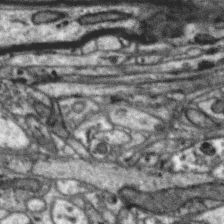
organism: Zebra finch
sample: Brain